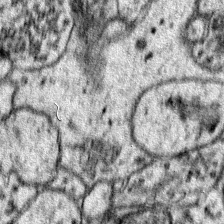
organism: Mouse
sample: Primary visual cortex